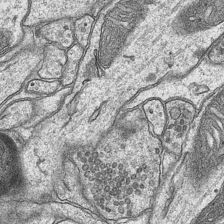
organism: Mouse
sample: CA1 Hippocampus